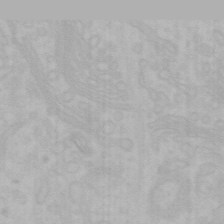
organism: Mouse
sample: Choroid plexus